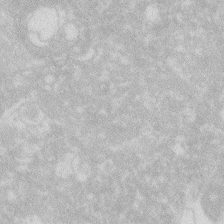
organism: Zebrafish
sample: Macrophage